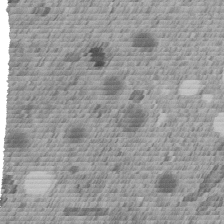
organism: C. elegans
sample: C. elegans embryo early stage